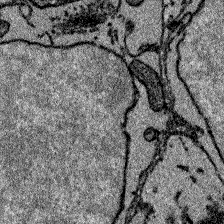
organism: Zebrafish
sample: Larval olfactory bulb